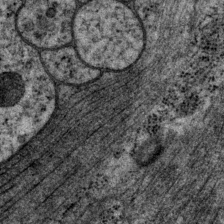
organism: P. pacificus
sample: Pharynx